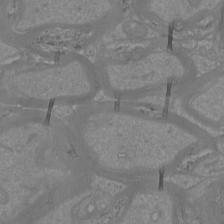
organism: Mouse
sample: Cortical neurons